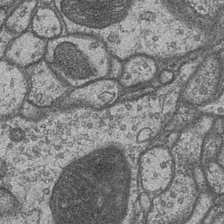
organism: Drosophila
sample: Optic medulla